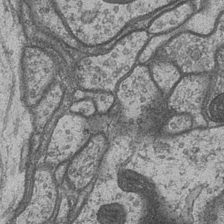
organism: Drosophila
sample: Optic medulla